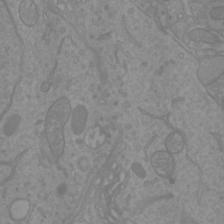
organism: Mouse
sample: Cortical neurons